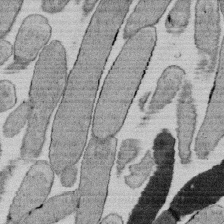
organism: E. coli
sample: Bacterial nucleoid